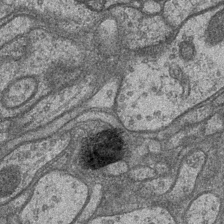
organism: Drosophila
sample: Optic medulla